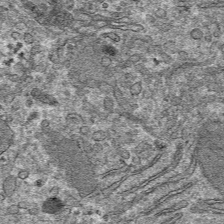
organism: Mouse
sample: Mouse hepatocytes